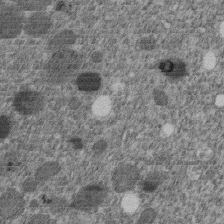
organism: C. elegans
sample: C. elegans embryo early stage